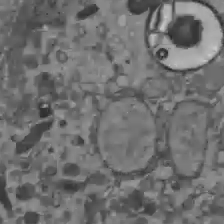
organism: C57BL Mouse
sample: Liver